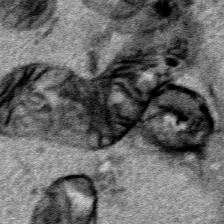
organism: Human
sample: Mitochondria in HCT116 cells